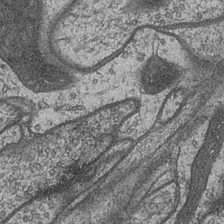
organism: Drosophila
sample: Optic medulla